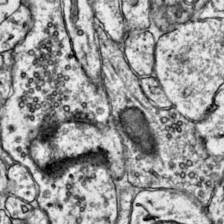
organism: Mouse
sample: Primary visual cortex